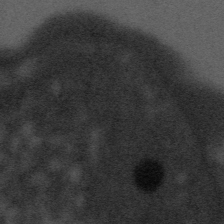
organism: Tuwongella immobilis